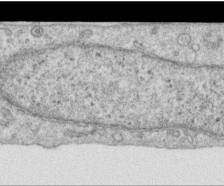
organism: Human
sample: Centriole in RPE cells